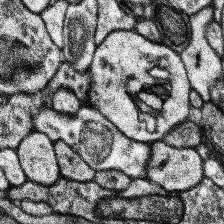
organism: Human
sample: Temporal Lobe